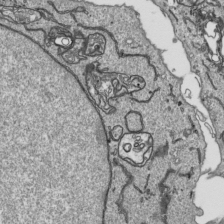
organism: Human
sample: Mitochondria in HCT116 cells